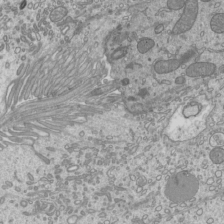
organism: Mouse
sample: Cilia; mouse epididymis